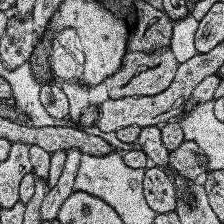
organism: Human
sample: Temporal Lobe